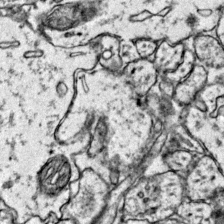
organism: Mouse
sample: Primary visual cortex